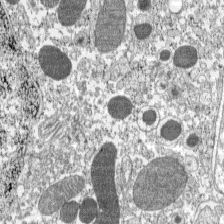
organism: C57BL Mouse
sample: Pancreatic islet